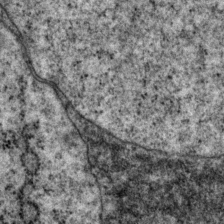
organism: P. pacificus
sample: Pharynx